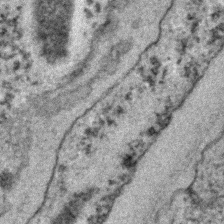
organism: C. elegans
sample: C. elegans embryo